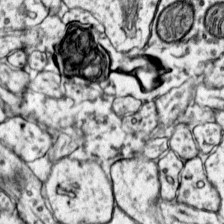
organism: Mouse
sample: Primary visual cortex